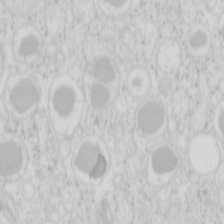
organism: Mouse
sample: Pancreas